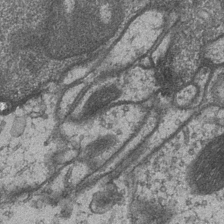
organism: Drosophila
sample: Optic medulla